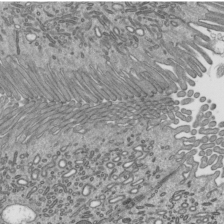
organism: Mouse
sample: Mouse epididymis efferent ductule cilia